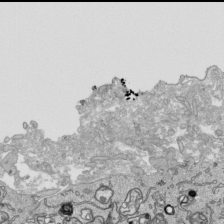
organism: Human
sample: Mitochondria in HCT116 cells